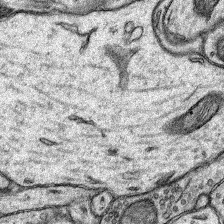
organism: Rat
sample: Hippocampus